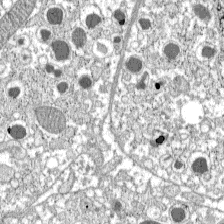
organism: C57BL Mouse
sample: Pancreatic islet